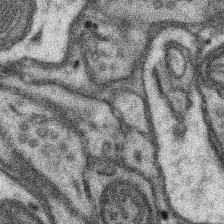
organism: Mouse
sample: Somatosensory cortex neuropil